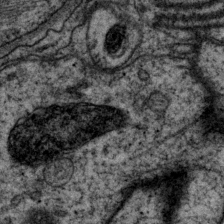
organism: P. pacificus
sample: Pharynx